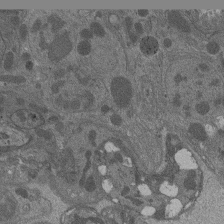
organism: Drosophila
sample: Antenna